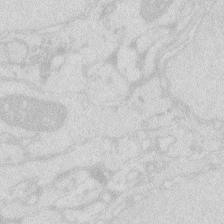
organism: Zebrafish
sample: Macrophage